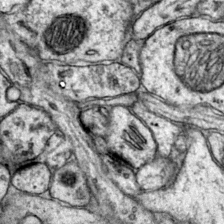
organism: Mouse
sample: Primary visual cortex